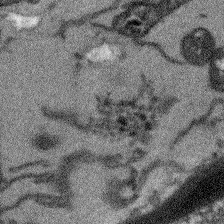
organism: Arabidopsis thaliana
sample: Root tip